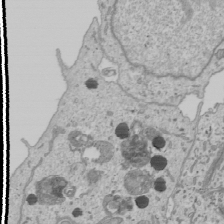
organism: Human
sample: Mitochondria in U2OS cells